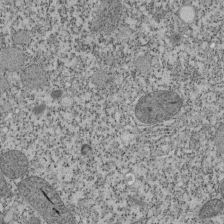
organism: Tetrahymena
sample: Cilia in tetrahymena